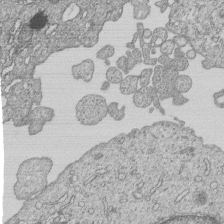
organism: Human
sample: MDA-MB-231 cells